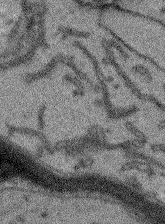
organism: Arabidopsis thaliana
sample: Root tip